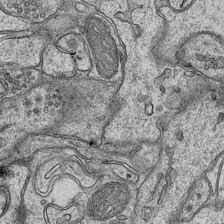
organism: Mouse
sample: CA1 Hippocampus